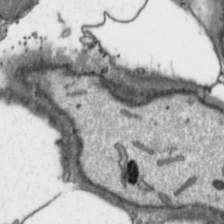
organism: Toxoplasma gondii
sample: Parasites in a vacuole inside a host cell